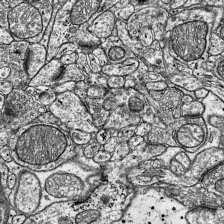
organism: Mouse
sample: Visual Cortex